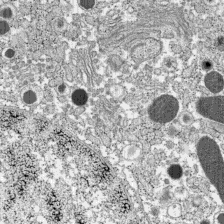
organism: C57BL Mouse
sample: Pancreatic islet